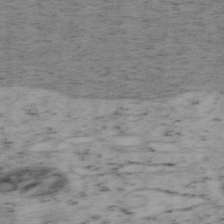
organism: Mouse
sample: OT-I killer T cells with ID8 ovarian cancer cells